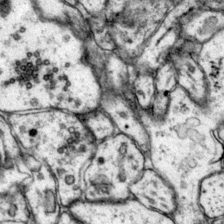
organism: Mouse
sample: Primary visual cortex